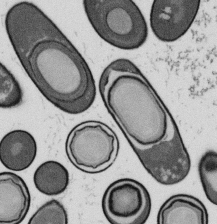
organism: B. subtilis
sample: Bacterial spore